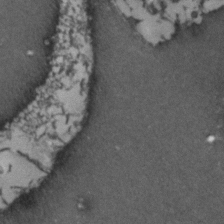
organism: Zebrafish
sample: Zebrafish embryo